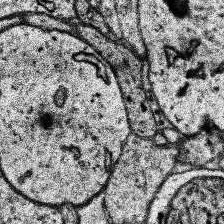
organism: Human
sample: Temporal Lobe